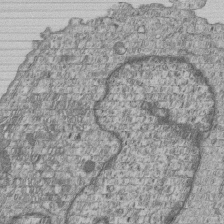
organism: Human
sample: MDA-MB-231 cells